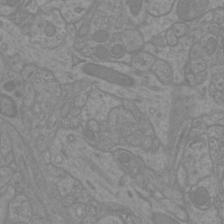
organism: Mouse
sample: Cortical neurons